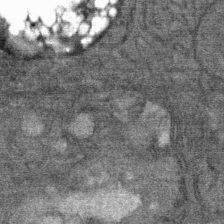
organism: Mouse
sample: Mouse Salivary gland